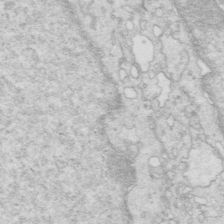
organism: Mouse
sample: Multiciliated cells